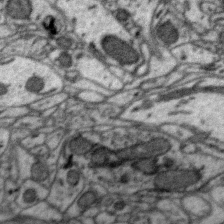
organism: Zebra finch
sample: Brain